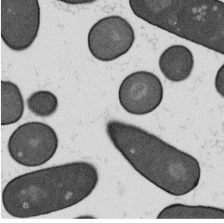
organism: B. subtilis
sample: Bacterial spore